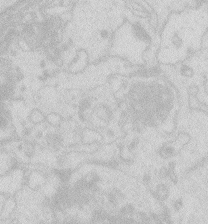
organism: Zebrafish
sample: Macrophage